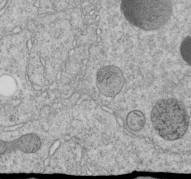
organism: C. elegans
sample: C. elegans embryo early stage